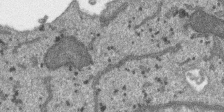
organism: Human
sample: Lung epithelial cells infected with SARS-CoV-2